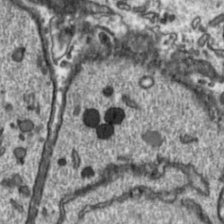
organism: Toxoplasma gondii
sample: Parasites in a vacuole inside a host cell